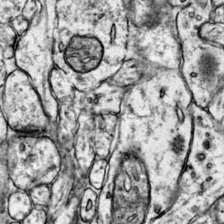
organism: Mouse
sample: Primary visual cortex